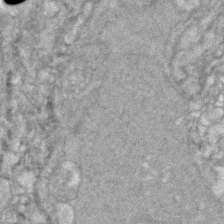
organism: Zebrafish